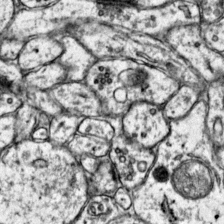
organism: Mouse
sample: Primary visual cortex